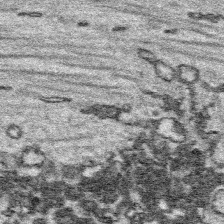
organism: Platynereis dumerilii